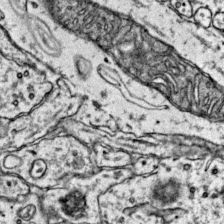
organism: Mouse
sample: Primary visual cortex